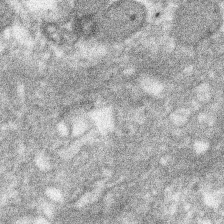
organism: Xenopus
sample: Cilia; centrioles in frog embryo cells